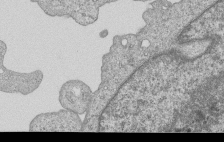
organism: Human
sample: MDA-MB-231 cells